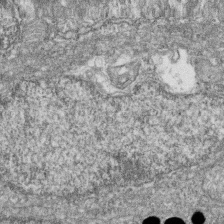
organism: Zebrafish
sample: Cilia; retinal pigment epithelium